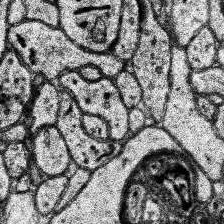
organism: Human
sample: Temporal Lobe